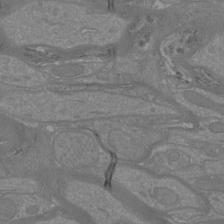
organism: Mouse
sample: Cortical neurons